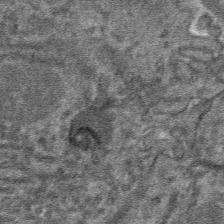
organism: Mouse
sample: Mouse hepatocytes